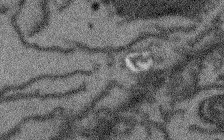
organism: Arabidopsis thaliana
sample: Root tip